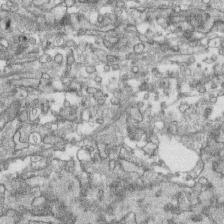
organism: Human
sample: CRL-1474